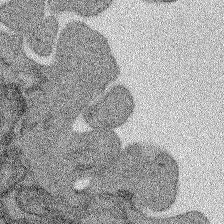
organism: Human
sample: HeLa cells